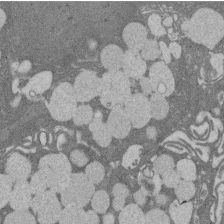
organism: Rat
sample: Salivary granule